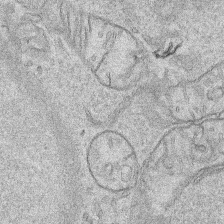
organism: Human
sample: Mitochondria in HCT116 cells